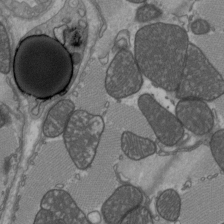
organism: C57BL Mouse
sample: Heart